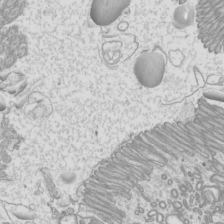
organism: Mouse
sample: Cilia; mouse epididymis